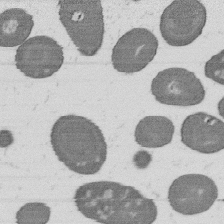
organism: B. subtilis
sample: Bacterial spore